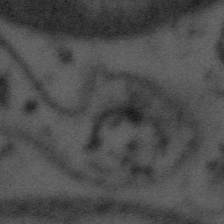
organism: Tuwongella immobilis